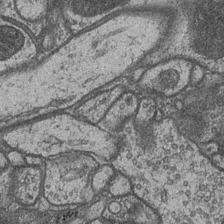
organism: Drosophila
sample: Optic medulla